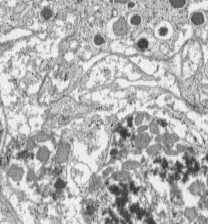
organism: C57BL Mouse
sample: Pancreatic islet